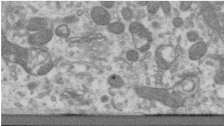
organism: Human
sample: Centriole in RPE cells